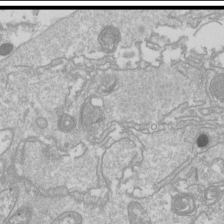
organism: Drosophila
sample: Cell division; meiosis; drosophila spermatocytes